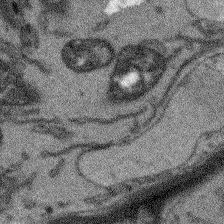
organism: Arabidopsis thaliana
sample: Root tip